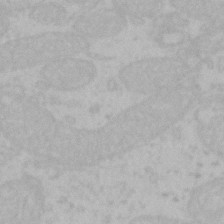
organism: Mouse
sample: Choroid plexus